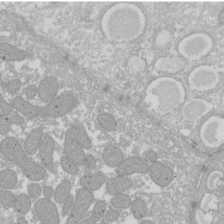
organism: Xenopus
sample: Cilia; centrioles in frog embryo cells